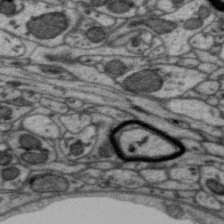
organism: Zebra finch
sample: Brain